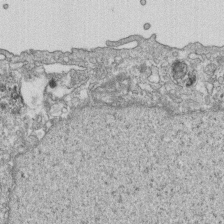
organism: Human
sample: HeLa cell HIV synapse